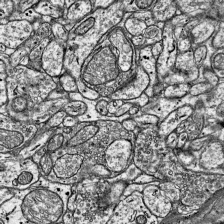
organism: Mouse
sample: Visual Cortex